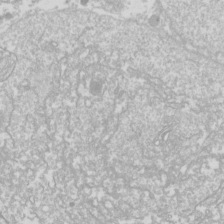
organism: Drosophila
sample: Cell division; meiosis; drosophila spermatocytes